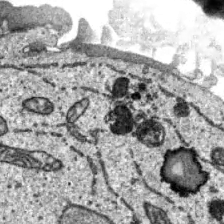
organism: Human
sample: HeLa cells